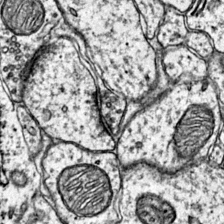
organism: Mouse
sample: Primary visual cortex